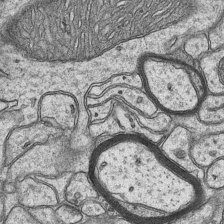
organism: Mouse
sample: CA1 Hippocampus